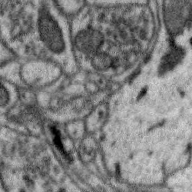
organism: Zebra finch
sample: Brain